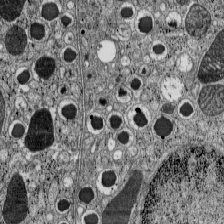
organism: C57BL Mouse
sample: Pancreatic islet